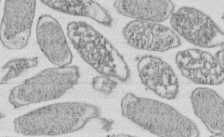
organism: E. coli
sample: Bacterial nucleoid